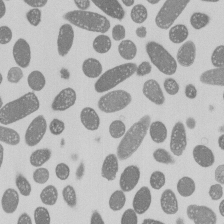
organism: E. coli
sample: Bacterial nucleoid